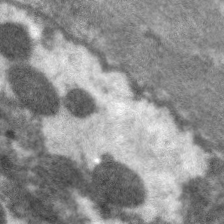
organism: C. elegans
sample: Pharynx